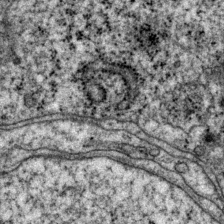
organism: P. pacificus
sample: Pharynx